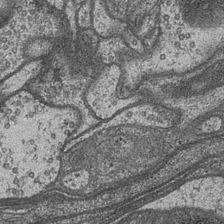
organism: Drosophila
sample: Optic medulla